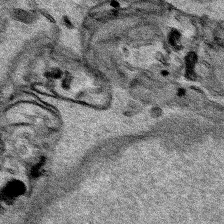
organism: Human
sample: Mitochondria in HCT116 cells